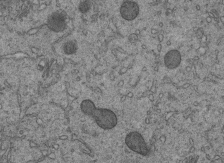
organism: C. elegans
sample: C. elegans embryo early stage